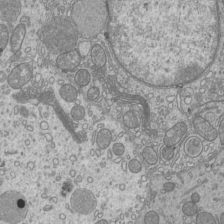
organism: Mouse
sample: Cilia; mouse epididymis